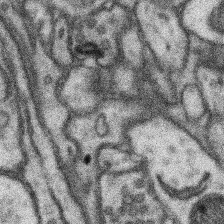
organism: Mouse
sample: Somatosensory cortex neuropil